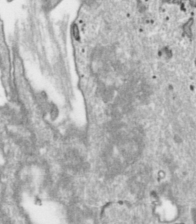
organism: Toxoplasma gondii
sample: Parasites in a vacuole inside a host cell